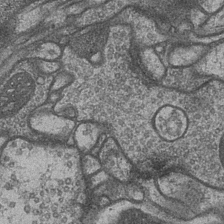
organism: Drosophila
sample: Optic medulla